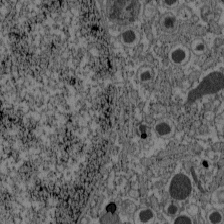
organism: C57BL Mouse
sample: Pancreatic islet